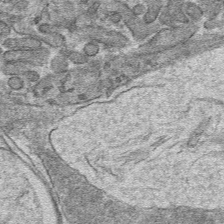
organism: Mouse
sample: Mouse hepatocytes